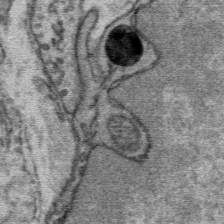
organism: Mouse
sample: Mouse Salivary gland